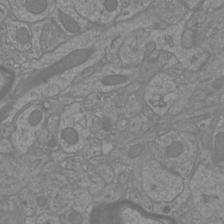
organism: Mouse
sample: Cortical neurons